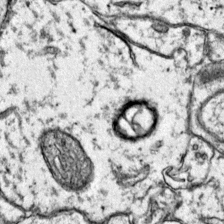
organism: Mouse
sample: Primary visual cortex